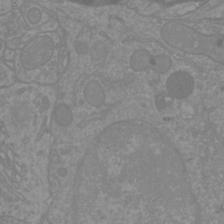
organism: Mouse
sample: Cortical neurons